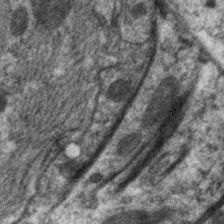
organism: C. elegans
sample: Pharynx